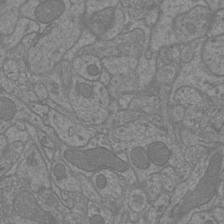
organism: Mouse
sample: Cortical neurons